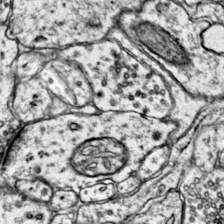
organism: Mouse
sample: Primary visual cortex